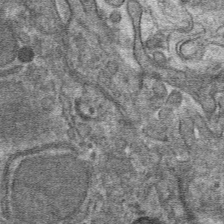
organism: Mouse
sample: Mouse hepatocytes